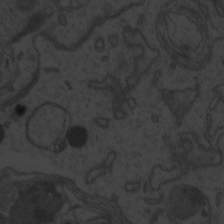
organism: Zebrafish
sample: Macrophage infected with Toxoplasma gondii